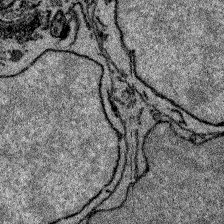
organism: Zebrafish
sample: Larval olfactory bulb